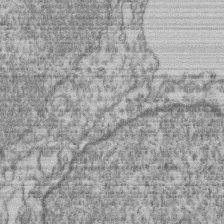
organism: Mouse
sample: T cell stromal cell synapse